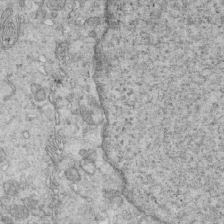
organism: Mouse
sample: Multiciliated cells